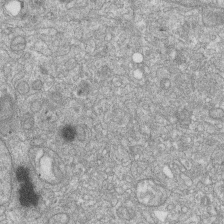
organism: Human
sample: HeLa cell HIV synapse